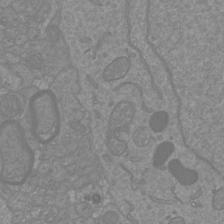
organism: Mouse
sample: Cortical neurons